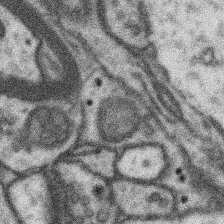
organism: Mouse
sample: Somatosensory cortex neuropil